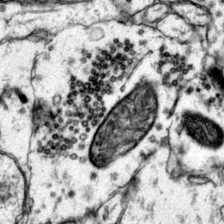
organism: Mouse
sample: Primary visual cortex